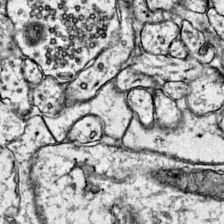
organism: Mouse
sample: Primary visual cortex